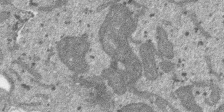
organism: Human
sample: Lung epithelial cells infected with SARS-CoV-2